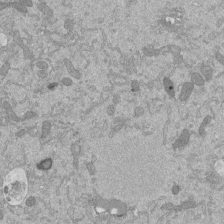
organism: Mouse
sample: ED-1 cell nuclei; centrioles